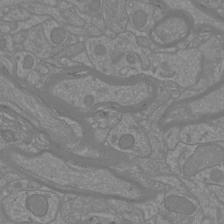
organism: Mouse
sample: Cortical neurons